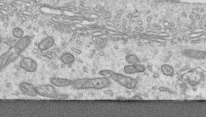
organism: Human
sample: Centriole in RPE cells